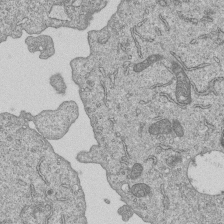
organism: Human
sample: MDA-MB-231 cells